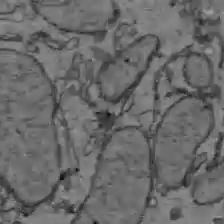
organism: C57BL Mouse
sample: Liver